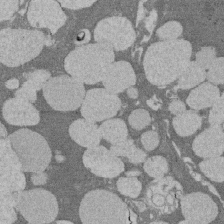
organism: Rat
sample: Salivary granule